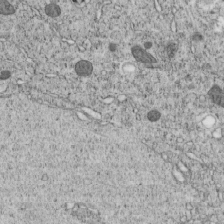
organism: C. elegans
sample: C. elegans embryo early stage